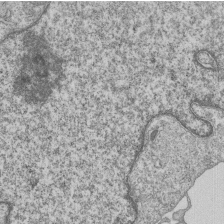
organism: Human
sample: MDA-MB-231 cells